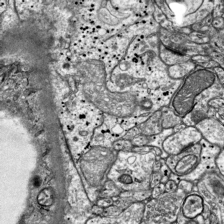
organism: Mouse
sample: Visual Cortex